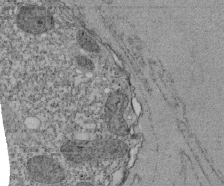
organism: Tetrahymena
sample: Cilia in tetrahymena